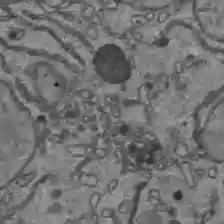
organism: C57BL Mouse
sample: Liver